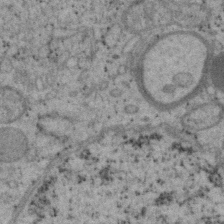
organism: Human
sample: HeLa cells